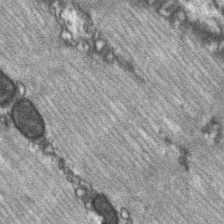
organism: C57BL Mouse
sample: Soleus